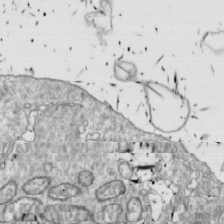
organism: Drosophila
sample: Cell division; meiosis; drosophila spermatocytes